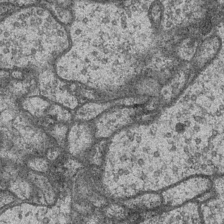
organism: Drosophila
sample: Optic medulla